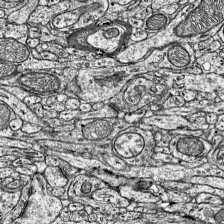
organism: Mouse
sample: Visual Cortex